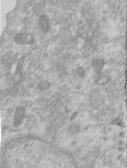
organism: Human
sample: Centriole in RPE cells